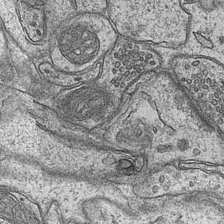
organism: Mouse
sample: CA1 Hippocampus